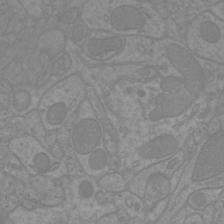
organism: Mouse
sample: Cortical neurons